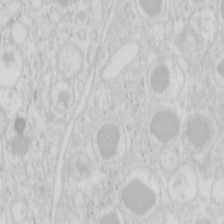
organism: Mouse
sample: Pancreas